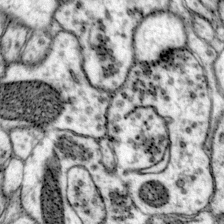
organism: Mouse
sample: Primary visual cortex